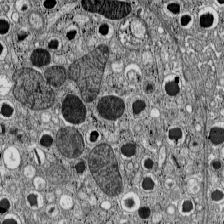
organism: C57BL Mouse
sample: Pancreatic islet